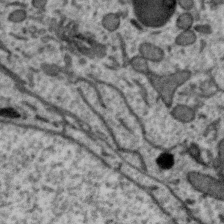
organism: Zebra finch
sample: Brain